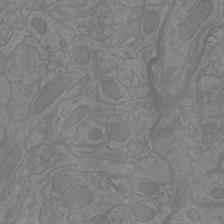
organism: Mouse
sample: Cortical neurons